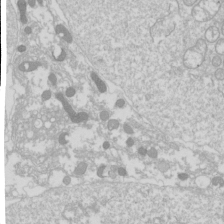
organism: Drosophila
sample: Cell division; meiosis; drosophila spermatocytes